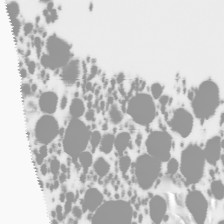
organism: Human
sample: THP-1 cells